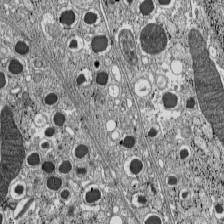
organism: C57BL Mouse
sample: Pancreatic islet